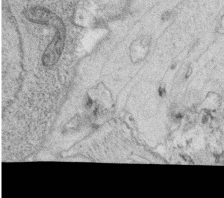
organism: C. elegans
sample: C. elegans oocyte; sperm cells